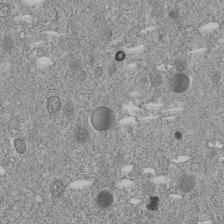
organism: C. elegans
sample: C. elegans embryo early stage